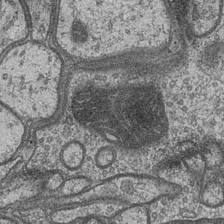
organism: Drosophila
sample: Optic medulla